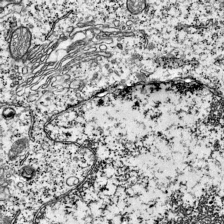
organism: Mouse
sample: Visual Cortex